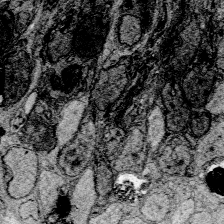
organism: Zebrafish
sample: Whole-Brain